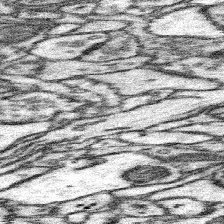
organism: Mouse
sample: Somatosensory cortex neuropil